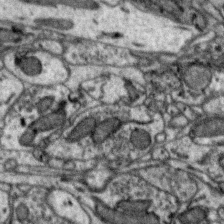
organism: Zebra finch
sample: Brain